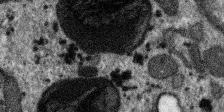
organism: Human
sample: Lung epithelial cells infected with SARS-CoV-2